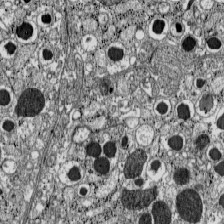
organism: C57BL Mouse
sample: Pancreatic islet